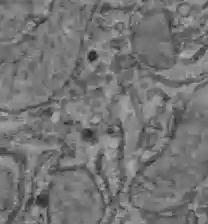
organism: C57BL Mouse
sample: Liver